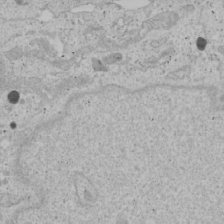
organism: Human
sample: Mitochondria in U2OS cells